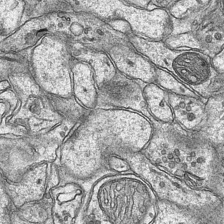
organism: Mouse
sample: CA1 Hippocampus